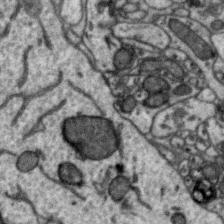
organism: Zebra finch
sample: Brain